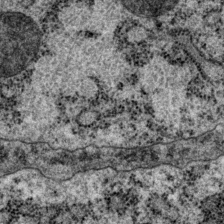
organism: P. pacificus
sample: Pharynx